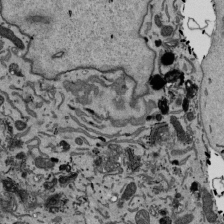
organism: Mouse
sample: ED-1 cell nuclei; centrioles